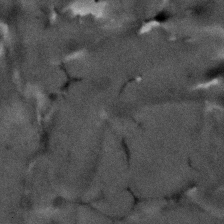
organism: Human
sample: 1205lu cells